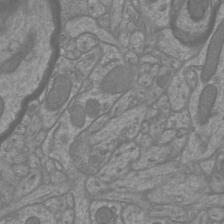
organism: Mouse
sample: Cortical neurons